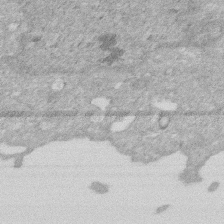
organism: Human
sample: HIV infected U937 cells